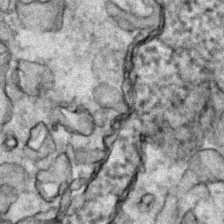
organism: Zebrafish